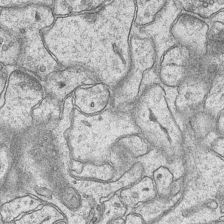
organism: Mouse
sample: CA1 Hippocampus